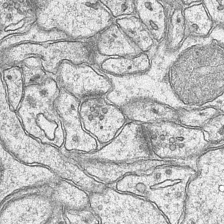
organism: Mouse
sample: CA1 Hippocampus